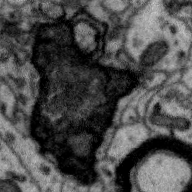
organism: Zebra finch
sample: Brain